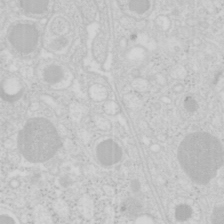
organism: Mouse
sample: Pancreas